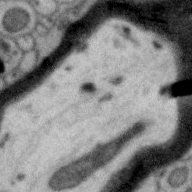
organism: Zebra finch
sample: Brain